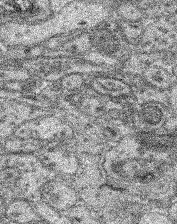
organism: Mouse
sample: Retina